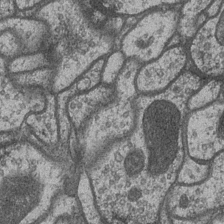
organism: Drosophila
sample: Optic medulla